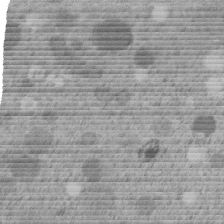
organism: C. elegans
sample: C. elegans embryo early stage